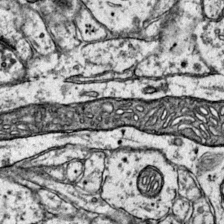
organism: Mouse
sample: Primary visual cortex